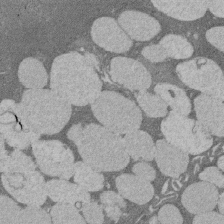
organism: Rat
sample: Salivary granule